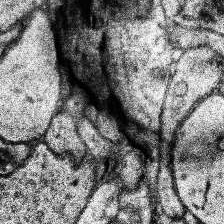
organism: Human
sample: Temporal Lobe